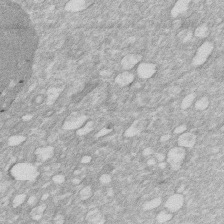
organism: Human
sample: HIV infected U937 cells